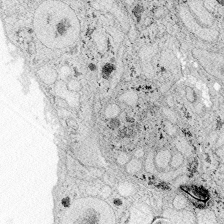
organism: Zebrafish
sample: Whole-Brain